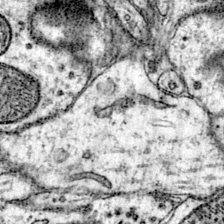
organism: Mouse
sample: Primary visual cortex